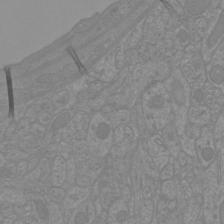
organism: Mouse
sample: Cortical neurons